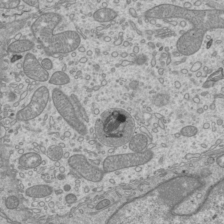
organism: Mouse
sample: Cilia; mouse epididymis